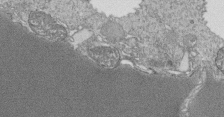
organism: Tetrahymena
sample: Cilia in tetrahymena